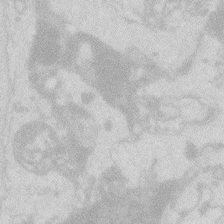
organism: Zebrafish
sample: Macrophage